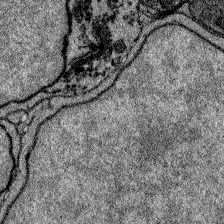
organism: Zebrafish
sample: Larval olfactory bulb